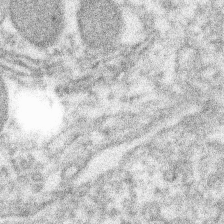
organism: Xenopus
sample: Cilia; centrioles in frog embryo cells